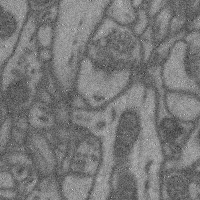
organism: Mouse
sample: Cerebral cortex